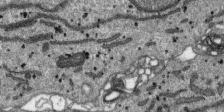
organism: Human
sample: Lung epithelial cells, uninfected (mock) control